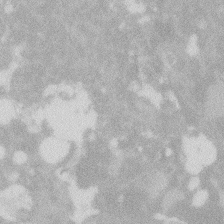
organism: Zebrafish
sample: Macrophage